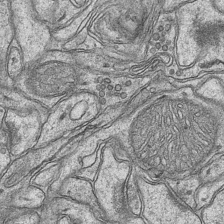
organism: Mouse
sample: CA1 Hippocampus